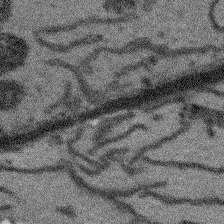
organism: Arabidopsis thaliana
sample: Root tip